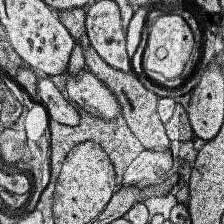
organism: Human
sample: Temporal Lobe